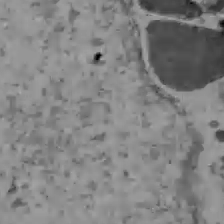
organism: C57BL Mouse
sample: Liver